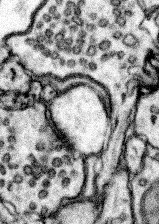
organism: Mouse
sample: Somatosensory cortex neuropil